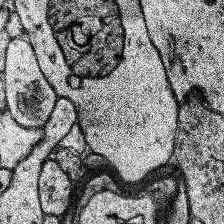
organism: Human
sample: Temporal Lobe